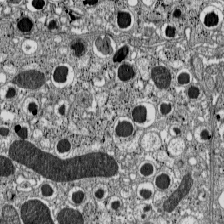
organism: C57BL Mouse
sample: Pancreatic islet